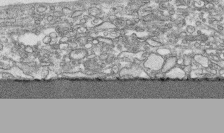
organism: Human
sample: CRL-1474